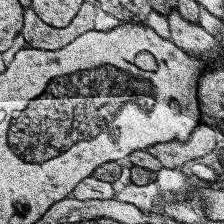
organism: Human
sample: Temporal Lobe